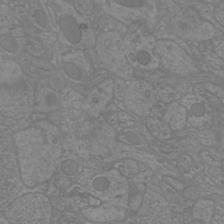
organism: Mouse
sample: Cortical neurons